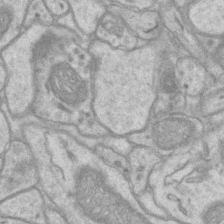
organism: Mouse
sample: CA1 Hippocampus